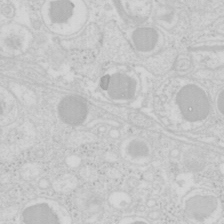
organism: Mouse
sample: Pancreas